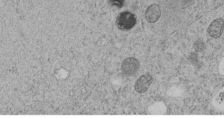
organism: C. elegans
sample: C. elegans embryo early stage